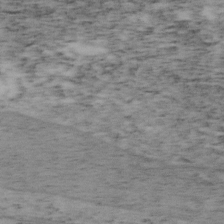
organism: Mouse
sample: OT-I killer T cells with ID8 ovarian cancer cells